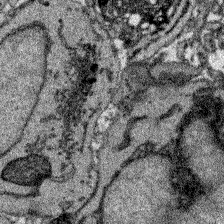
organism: Zebrafish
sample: Larval olfactory bulb